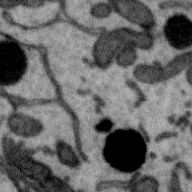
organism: Zebra finch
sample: Brain